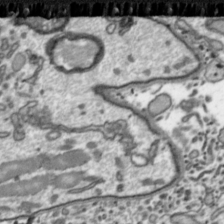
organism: Toxoplasma gondii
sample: Parasites in a vacuole inside a host cell